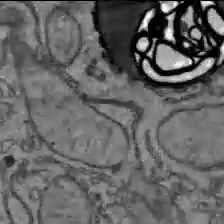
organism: C57BL Mouse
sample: Liver